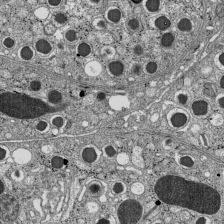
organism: C57BL Mouse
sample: Pancreatic islet